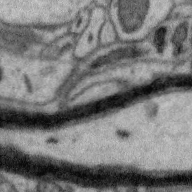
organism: Zebra finch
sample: Brain